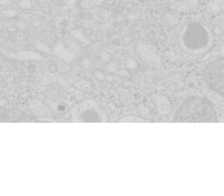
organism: Mouse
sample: Pancreas